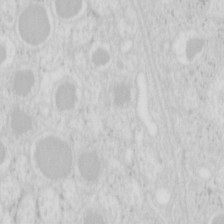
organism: Mouse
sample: Pancreas